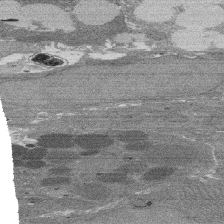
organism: Rat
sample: Salivary granule